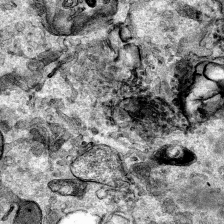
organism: Human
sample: Mitochondria in HCT116 cells